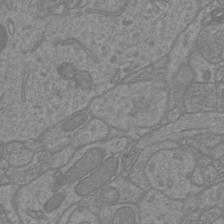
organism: Mouse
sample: Cortical neurons